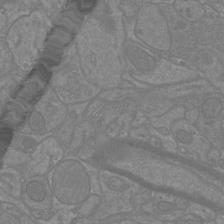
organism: Mouse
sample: Cortical neurons